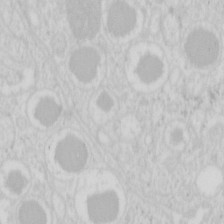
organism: Mouse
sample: Pancreas